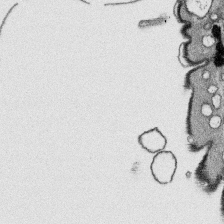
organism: Platynereis dumerilii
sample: Parapodia